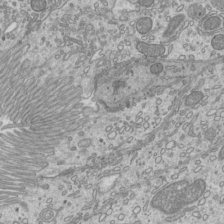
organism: Mouse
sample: Cilia; mouse epididymis